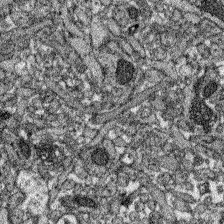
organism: Zebrafish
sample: Larval olfactory bulb